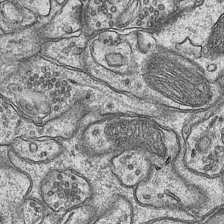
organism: Mouse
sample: CA1 Hippocampus